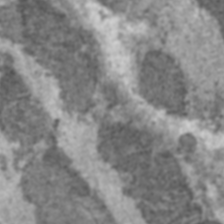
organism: C57BL Mouse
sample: Heart